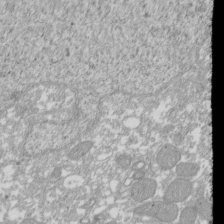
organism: Xenopus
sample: Cilia; centrioles in frog embryo cells